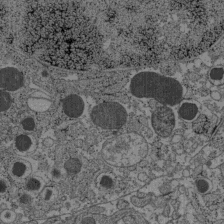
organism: C57BL Mouse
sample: Pancreatic islet